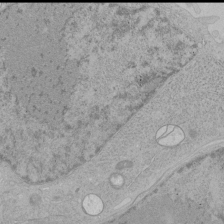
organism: Human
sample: Mitochondria in HCT116 cells